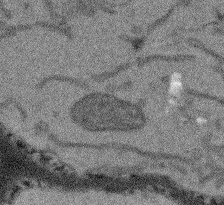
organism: Arabidopsis thaliana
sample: Root tip